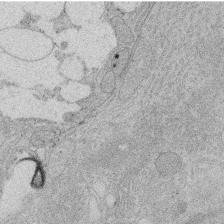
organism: Rat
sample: Salivary granule